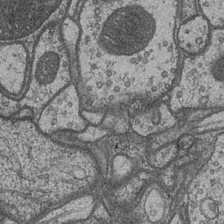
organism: Drosophila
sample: Optic medulla